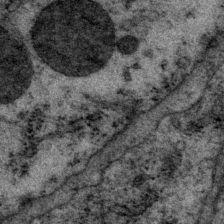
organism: P. pacificus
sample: Pharynx